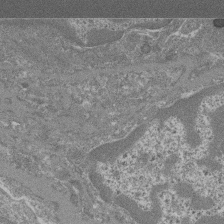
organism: Mouse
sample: Glomerulus